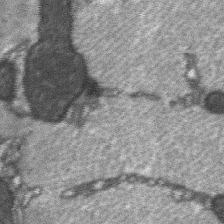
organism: C57BL Mouse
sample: Soleus